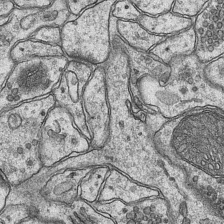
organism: Mouse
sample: CA1 Hippocampus